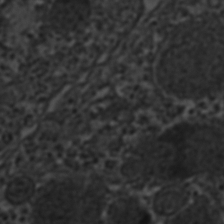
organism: C. elegans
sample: C. elegans embryo